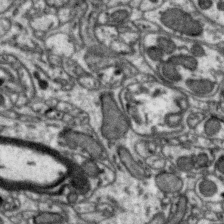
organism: Zebra finch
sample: Brain